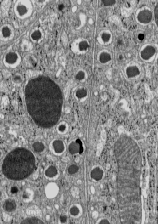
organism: C57BL Mouse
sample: Pancreatic islet